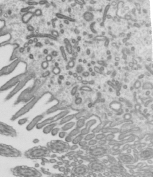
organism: Mouse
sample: Mouse epididymis efferent ductule cilia